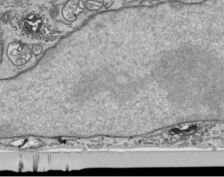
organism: Human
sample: Mitochondria in HCT116 cells